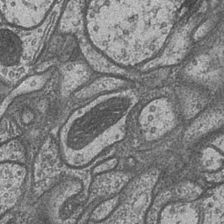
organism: Drosophila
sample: Optic medulla